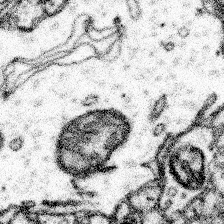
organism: Mouse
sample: Somatosensory cortex neuropil